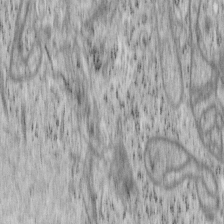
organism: Human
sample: HeLa cells